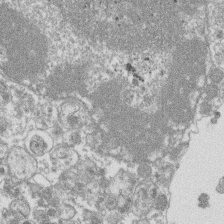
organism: Human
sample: HeLa cell HIV synapse